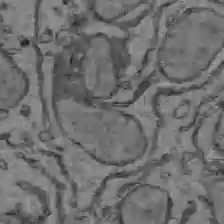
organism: C57BL Mouse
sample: Liver